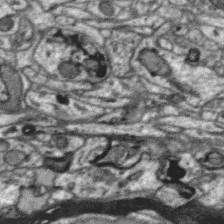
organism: Zebra finch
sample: Brain